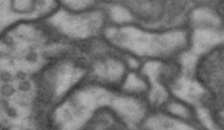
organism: Drosophila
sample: Brain